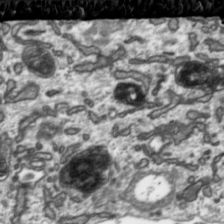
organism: Toxoplasma gondii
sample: Parasites in a vacuole inside a host cell